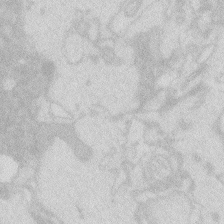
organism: Zebrafish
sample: Macrophage